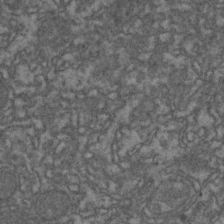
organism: Zebrafish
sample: Zebrafish embryo